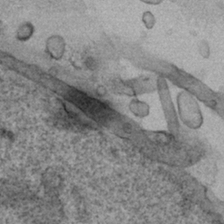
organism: Human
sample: Mitochondria in HCT116 cells